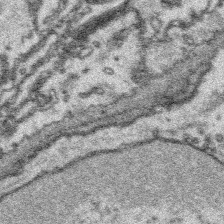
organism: Platynereis dumerilii